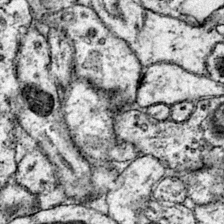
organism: Mouse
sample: Primary visual cortex